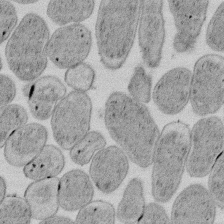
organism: E. coli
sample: Bacterial nucleoid